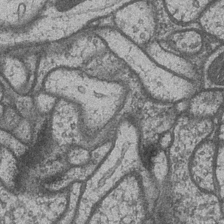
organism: Drosophila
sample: Optic medulla